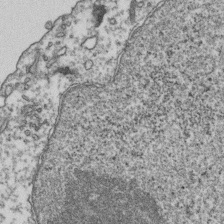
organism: Human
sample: Activated Jurkat CD4+ T cells